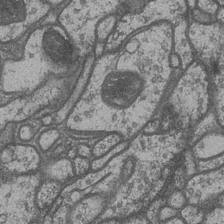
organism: Drosophila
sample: Optic medulla